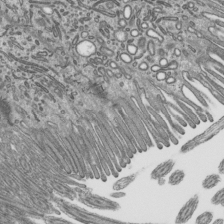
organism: Mouse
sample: Mouse epididymis efferent ductule cilia